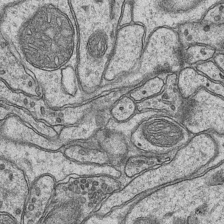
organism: Mouse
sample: CA1 Hippocampus